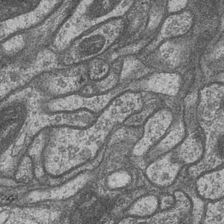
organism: Drosophila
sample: Optic medulla